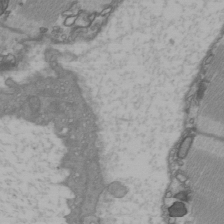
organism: C57BL Mouse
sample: Heart